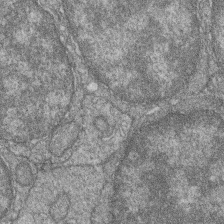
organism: Zebrafish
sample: Cilia; retinal pigment epithelium